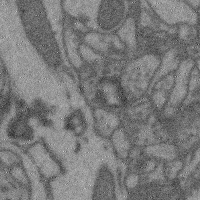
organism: Mouse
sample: Cerebral cortex